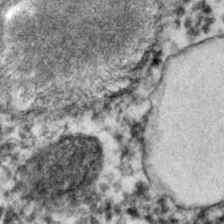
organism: C. elegans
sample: C. elegans embryo